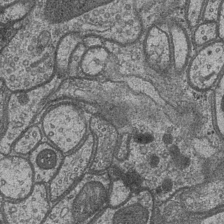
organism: Drosophila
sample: Optic medulla